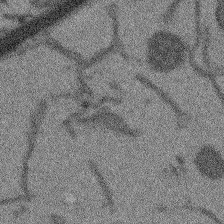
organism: Arabidopsis thaliana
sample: Root tip